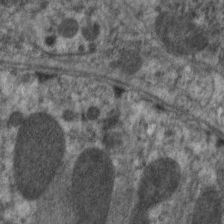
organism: C. elegans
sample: Pharynx